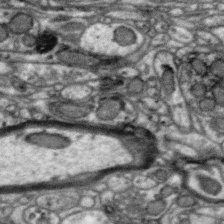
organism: Zebra finch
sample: Brain